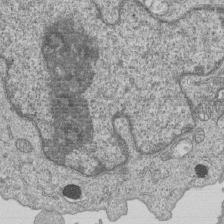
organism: Human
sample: MDA-MB-231 cells